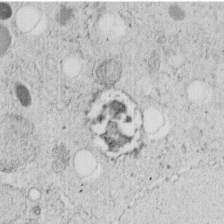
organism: C. elegans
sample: C. elegans embryo early stage